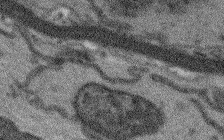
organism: Arabidopsis thaliana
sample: Root tip